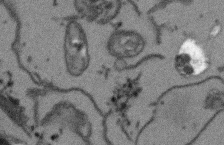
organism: Arabidopsis thaliana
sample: Root tip